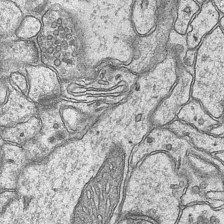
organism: Mouse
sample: CA1 Hippocampus